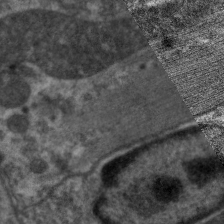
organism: C. elegans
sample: Pharynx